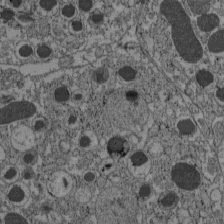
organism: C57BL Mouse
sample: Pancreatic islet